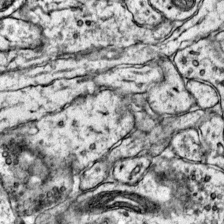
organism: Mouse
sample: Primary visual cortex